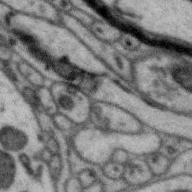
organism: Zebra finch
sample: Brain